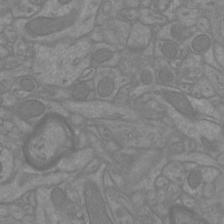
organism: Mouse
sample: Cortical neurons